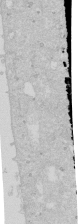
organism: Human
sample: Caco-2 cells